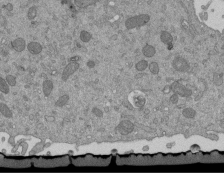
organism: Mouse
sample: ED-1 cell nuclei; centrioles